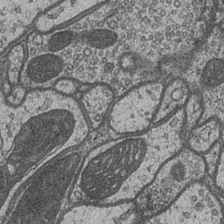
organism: Drosophila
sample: Optic medulla